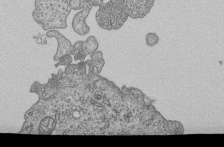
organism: Human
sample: MDA-MB-231 cells